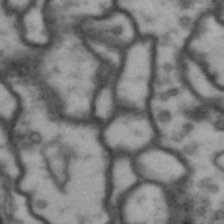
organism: Drosophila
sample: Brain